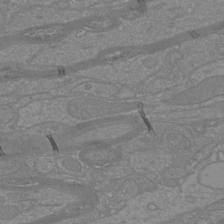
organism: Mouse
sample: Cortical neurons